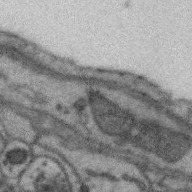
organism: Zebra finch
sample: Brain